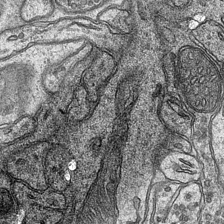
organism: Mouse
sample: CA1 Hippocampus